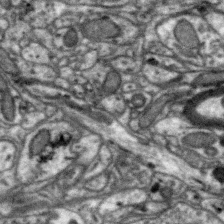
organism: Zebra finch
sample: Brain